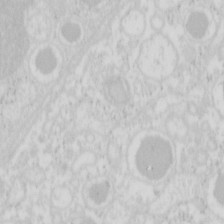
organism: Mouse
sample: Pancreas